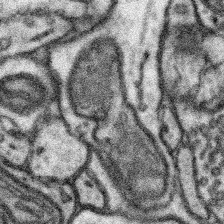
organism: Mouse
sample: Somatosensory cortex neuropil